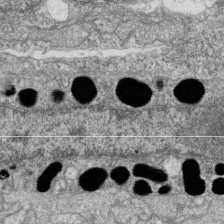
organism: Zebrafish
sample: Cilia; retinal pigment epithelium